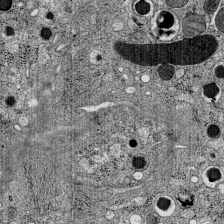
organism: C57BL Mouse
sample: Pancreatic islet